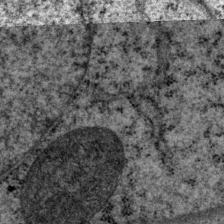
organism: P. pacificus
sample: Pharynx